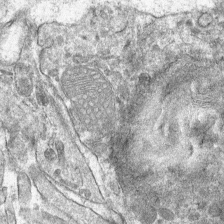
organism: Mouse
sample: Mouse hepatocytes